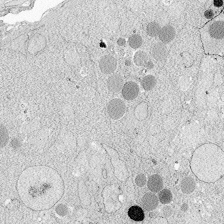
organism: Zebrafish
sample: Whole-Brain